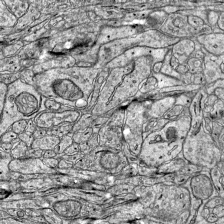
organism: Mouse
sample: Visual Cortex